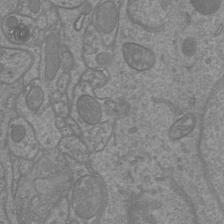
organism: Mouse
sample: Cortical neurons